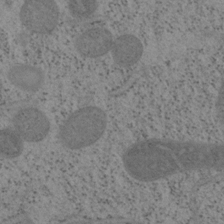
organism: Mouse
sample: OT-I killer T cells with ID8 ovarian cancer cells